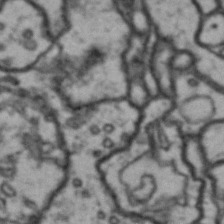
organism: Drosophila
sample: Brain